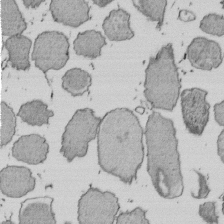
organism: E. coli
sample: Bacterial nucleoid